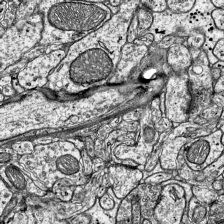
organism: Mouse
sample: Visual Cortex